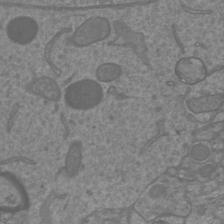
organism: Mouse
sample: Cortical neurons